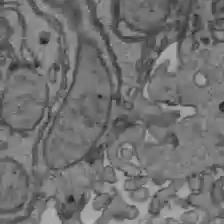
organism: C57BL Mouse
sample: Liver